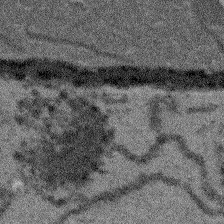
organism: Arabidopsis thaliana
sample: Root tip